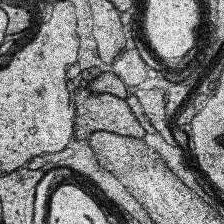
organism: Human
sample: Temporal Lobe